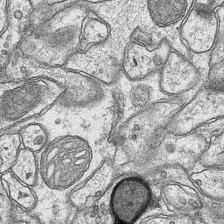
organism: Mouse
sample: CA1 Hippocampus